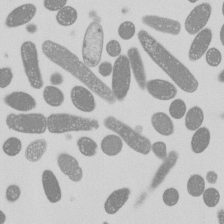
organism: E. coli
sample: Bacterial nucleoid